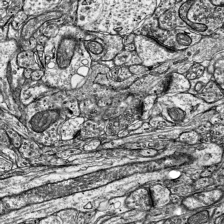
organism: Mouse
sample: Visual Cortex